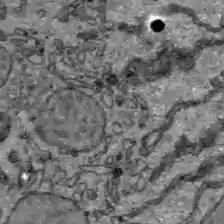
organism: C57BL Mouse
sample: Liver